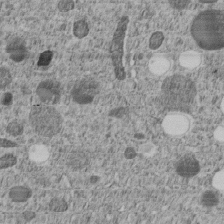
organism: C. elegans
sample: C. elegans embryo early stage